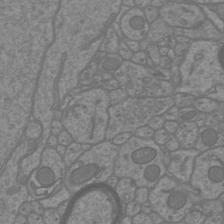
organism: Mouse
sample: Cortical neurons